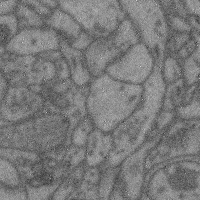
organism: Mouse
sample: Cerebral cortex